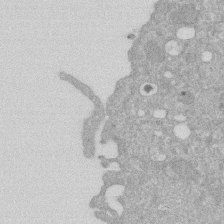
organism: Human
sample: HIV infected U937 cells